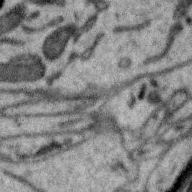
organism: Zebra finch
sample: Brain